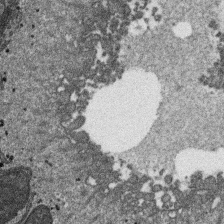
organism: Human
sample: Lung epithelial cells infected with SARS-CoV-2